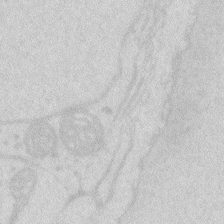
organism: Zebrafish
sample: Macrophage